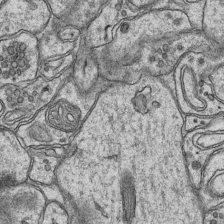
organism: Mouse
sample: CA1 Hippocampus